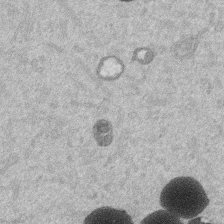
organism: Mouse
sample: Dividing mouse embryo 1 cell stage